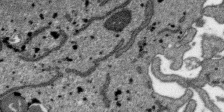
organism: Human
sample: Lung epithelial cells, uninfected (mock) control